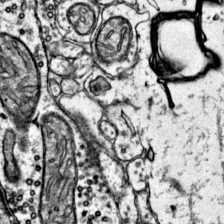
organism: Mouse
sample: Primary visual cortex